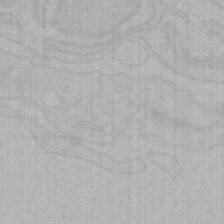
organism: Mouse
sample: Choroid plexus